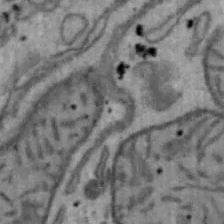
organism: Mouse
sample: Liver